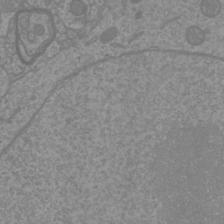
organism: Mouse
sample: Cortical neurons